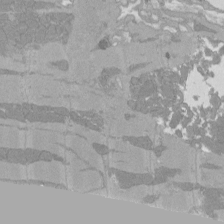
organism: Rat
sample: Left ventricle